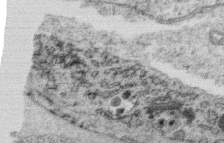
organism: C. elegans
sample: C. elegans oocyte; sperm cells